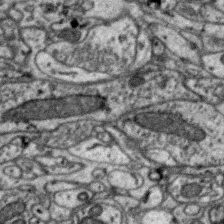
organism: Zebra finch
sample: Brain